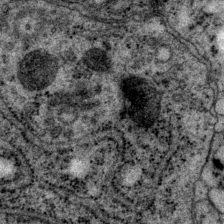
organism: P. pacificus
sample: Pharynx